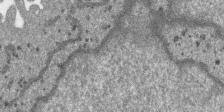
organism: Human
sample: Lung epithelial cells infected with SARS-CoV-2